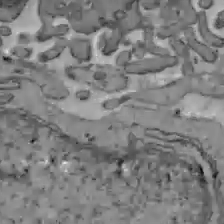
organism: C57BL Mouse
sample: Liver